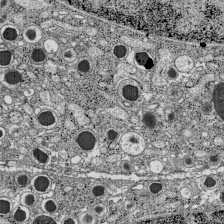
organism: C57BL Mouse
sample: Pancreatic islet